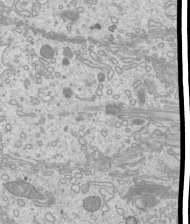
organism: Mouse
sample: Cilia; mouse epididymis